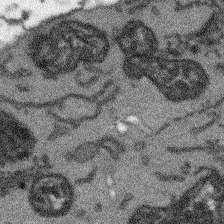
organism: Arabidopsis thaliana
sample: Root tip